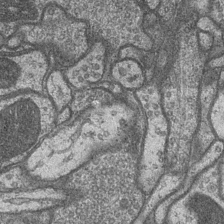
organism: Drosophila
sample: Optic medulla